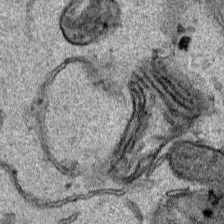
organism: Human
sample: Mitochondria in HCT116 cells